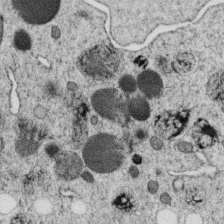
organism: C. elegans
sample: C. elegans oocyte; sperm cells